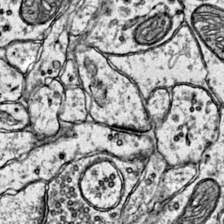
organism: Mouse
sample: Primary visual cortex